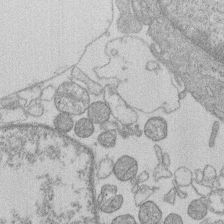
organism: Human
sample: Macrophage cells